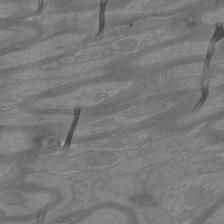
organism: Mouse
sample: Cortical neurons